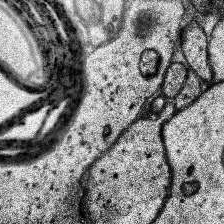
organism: Human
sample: Temporal Lobe